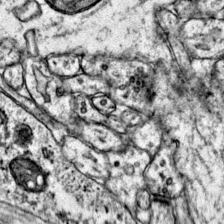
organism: Mouse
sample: Primary visual cortex